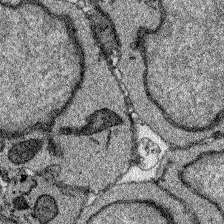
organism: Zebrafish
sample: Larval olfactory bulb